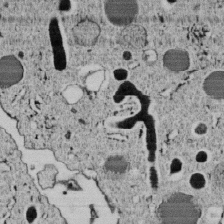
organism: C. elegans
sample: C. elegans embryo early stage